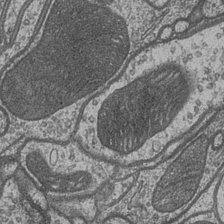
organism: Drosophila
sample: Optic medulla